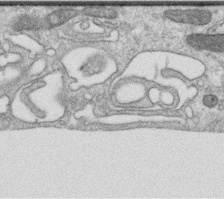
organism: Human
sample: Centriole in RPE cells